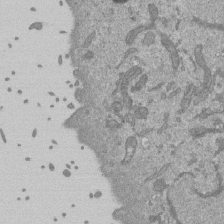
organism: Mouse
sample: ED-1 cell nuclei; centrioles